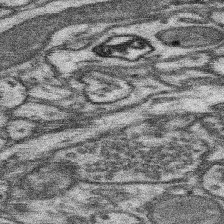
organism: Mouse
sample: Somatosensory cortex neuropil